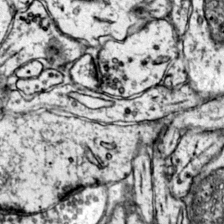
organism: Mouse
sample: Primary visual cortex